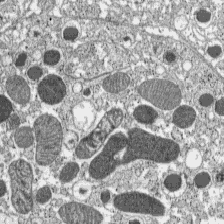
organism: C57BL Mouse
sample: Pancreatic islet